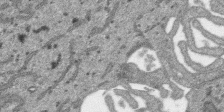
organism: Human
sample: Lung epithelial cells infected with SARS-CoV-2